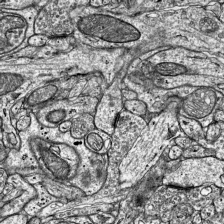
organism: Mouse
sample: Visual Cortex